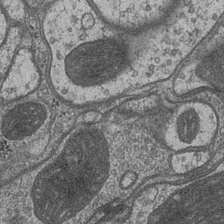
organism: Drosophila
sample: Optic medulla